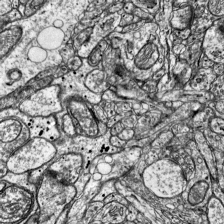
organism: Mouse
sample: Visual Cortex